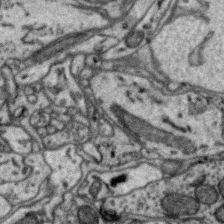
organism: Zebra finch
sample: Brain